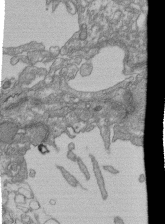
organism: Human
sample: Retinal organoid Rod and Cone cells